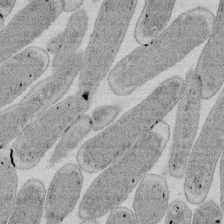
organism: E. coli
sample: Bacterial nucleoid